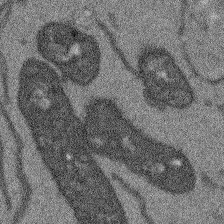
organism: Arabidopsis thaliana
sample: Root tip